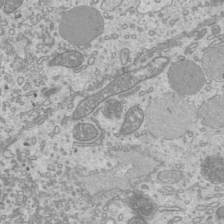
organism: Mouse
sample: Cilia; mouse epididymis